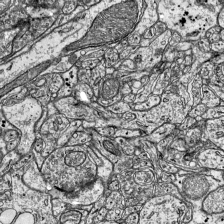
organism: Mouse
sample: Visual Cortex